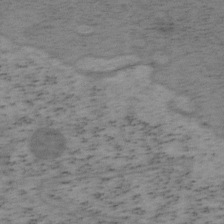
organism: Mouse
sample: OT-I killer T cells with ID8 ovarian cancer cells